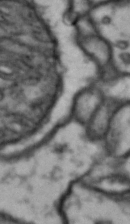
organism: Drosophila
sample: Brain